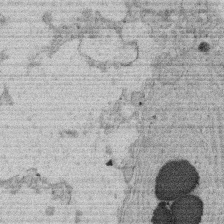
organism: Rat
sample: Salivary granule